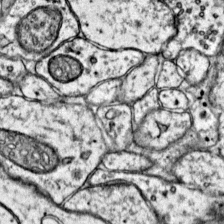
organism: Mouse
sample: Primary visual cortex